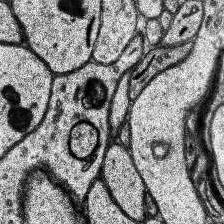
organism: Human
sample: Temporal Lobe